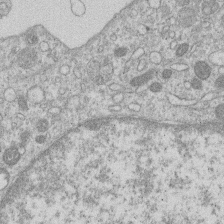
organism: Human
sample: Macrophage cells